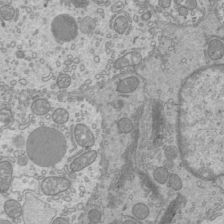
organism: Mouse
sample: Cilia; mouse epididymis